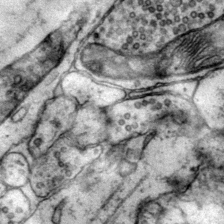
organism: Mouse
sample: Primary visual cortex